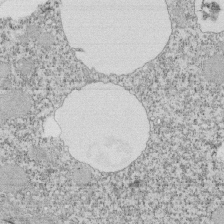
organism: Tetrahymena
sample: Cilia in tetrahymena